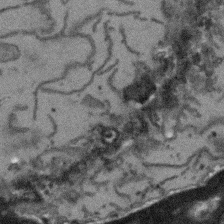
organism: Arabidopsis thaliana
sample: Root tip